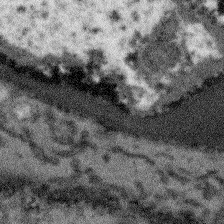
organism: Arabidopsis thaliana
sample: Root tip